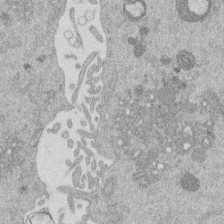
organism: Mouse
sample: Dividing mouse embryo 1 cell stage